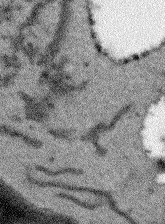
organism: Arabidopsis thaliana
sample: Root tip